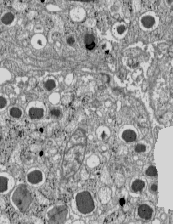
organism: C57BL Mouse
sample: Pancreatic islet